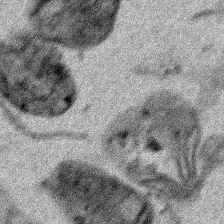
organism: Human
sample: Mitochondria in HCT116 cells